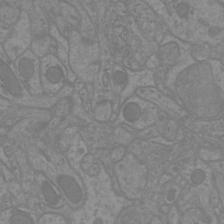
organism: Mouse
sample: Cortical neurons